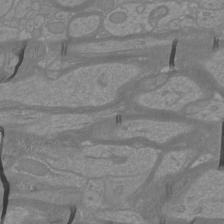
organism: Mouse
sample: Cortical neurons